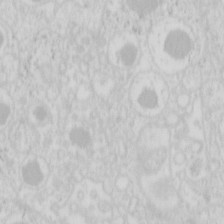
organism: Mouse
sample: Pancreas